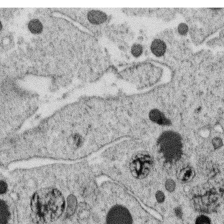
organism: C. elegans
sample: C. elegans oocyte; sperm cells